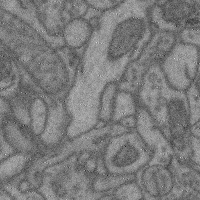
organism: Mouse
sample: Cerebral cortex